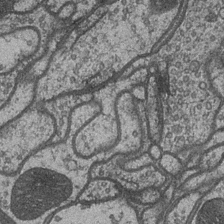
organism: Drosophila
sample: Optic medulla